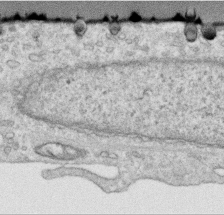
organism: Human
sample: Centriole in RPE cells